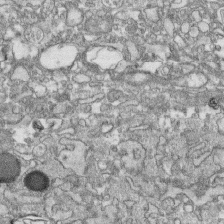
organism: Human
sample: CRL-1474